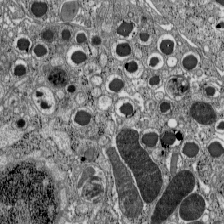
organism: C57BL Mouse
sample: Pancreatic islet